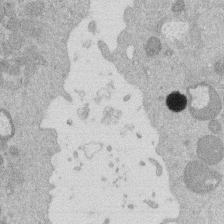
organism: Mouse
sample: Dividing mouse embryo 1 cell stage